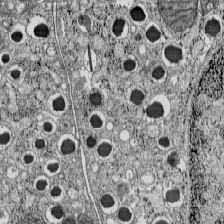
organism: C57BL Mouse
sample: Pancreatic islet